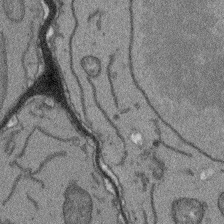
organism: Arabidopsis thaliana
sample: Root tip